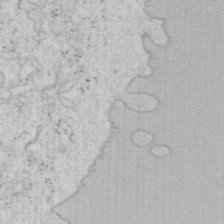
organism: Human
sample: HeLa cells